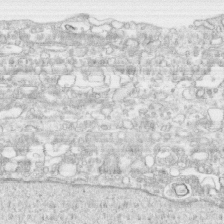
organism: Human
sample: CRL-1474